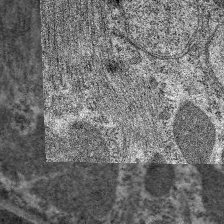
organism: C. elegans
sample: Pharynx